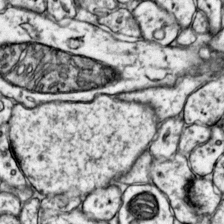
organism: Mouse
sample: Primary visual cortex